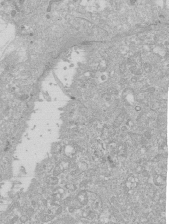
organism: Human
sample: Caco-2 cells